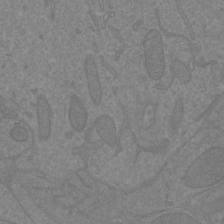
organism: Mouse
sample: Cortical neurons